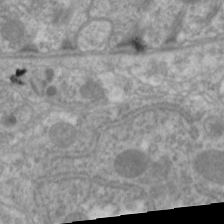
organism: C. elegans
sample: Pharynx